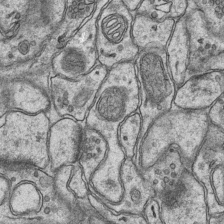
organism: Mouse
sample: CA1 Hippocampus